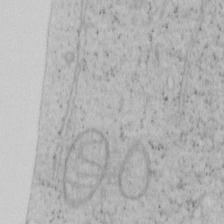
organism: Human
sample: HeLa cells